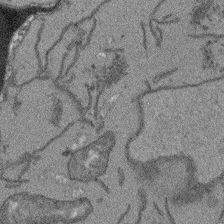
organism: Arabidopsis thaliana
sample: Root tip